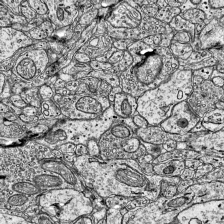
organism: Mouse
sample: Visual Cortex